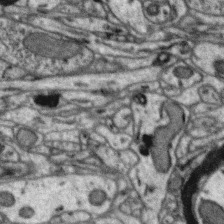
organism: Zebra finch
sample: Brain